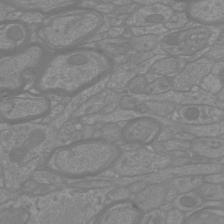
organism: Mouse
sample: Cortical neurons